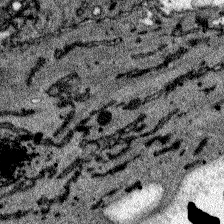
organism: Zebrafish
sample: Larval olfactory bulb